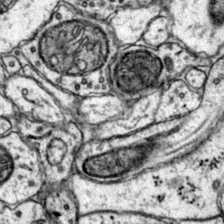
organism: Mouse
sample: Primary visual cortex